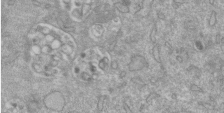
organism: Mouse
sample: ED-1 cell nuclei; centrioles